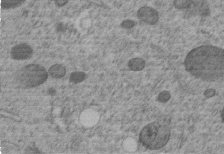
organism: C. elegans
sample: C. elegans embryo early stage